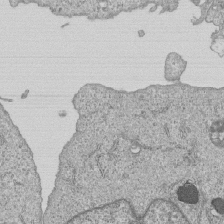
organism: Human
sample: MDA-MB-231 cells